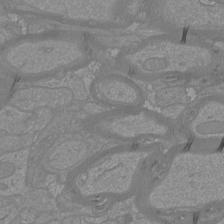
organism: Mouse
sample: Cortical neurons